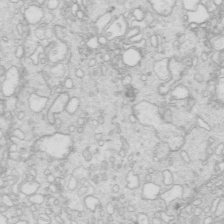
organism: Mouse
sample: Multiciliated cells